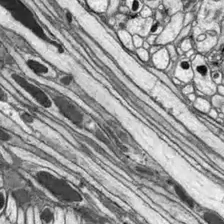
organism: Drosophila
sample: Optic lobe